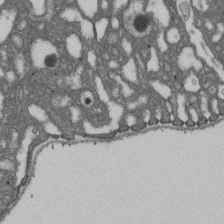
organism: Drosophila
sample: Nephrocyte